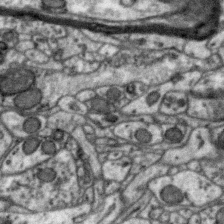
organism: Zebra finch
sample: Brain